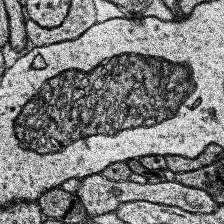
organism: Human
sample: Temporal Lobe